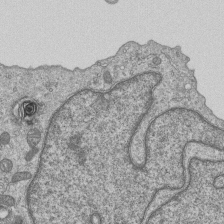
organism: Human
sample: MDA-MB-231 cells